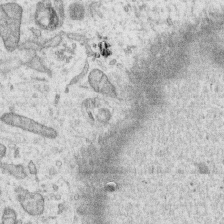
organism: Human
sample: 1205lu cells